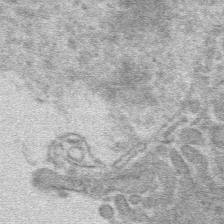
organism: Mouse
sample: Mouse hepatocytes